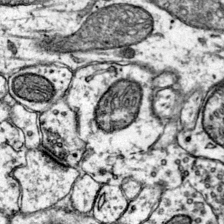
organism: Mouse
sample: Primary visual cortex